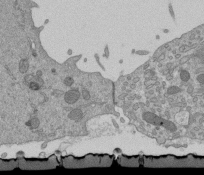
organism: Mouse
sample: ED-1 cell nuclei; centrioles